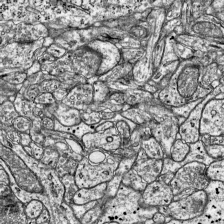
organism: Mouse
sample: Visual Cortex